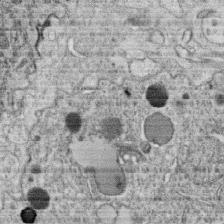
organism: C. elegans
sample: C. elegans oocyte; sperm cells